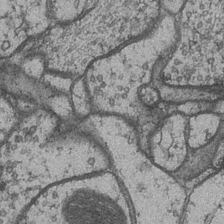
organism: Drosophila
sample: Optic medulla